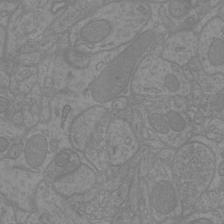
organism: Mouse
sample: Cortical neurons